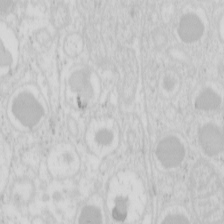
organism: Mouse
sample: Pancreas